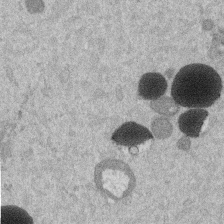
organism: Mouse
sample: Dividing mouse embryo 1 cell stage